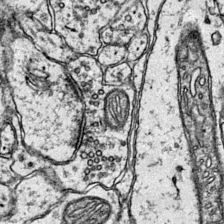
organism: Mouse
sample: Primary visual cortex